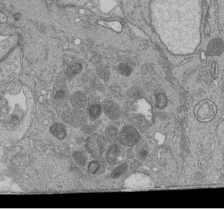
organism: Human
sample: Retinal organoid Rod and Cone cells